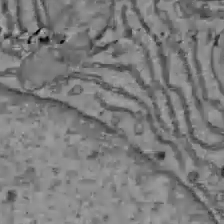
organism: C57BL Mouse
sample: Liver